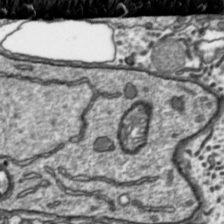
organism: Toxoplasma gondii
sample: Parasites in a vacuole inside a host cell